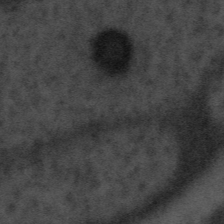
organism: Tuwongella immobilis